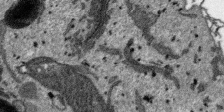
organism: Human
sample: Lung epithelial cells, uninfected (mock) control